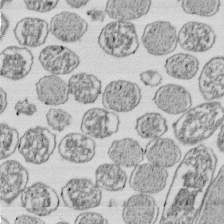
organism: E. coli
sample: Bacterial nucleoid